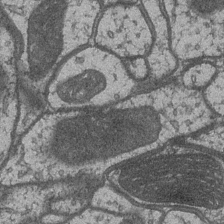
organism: Drosophila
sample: Optic medulla